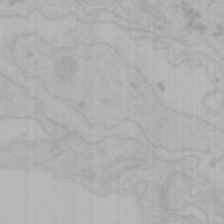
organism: Mouse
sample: Choroid plexus